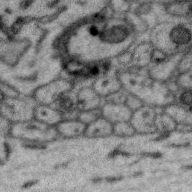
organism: Zebra finch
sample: Brain